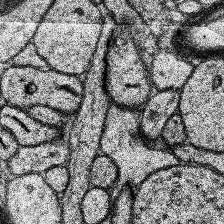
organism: Human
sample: Temporal Lobe